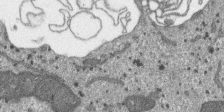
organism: Human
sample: Lung epithelial cells infected with SARS-CoV-2